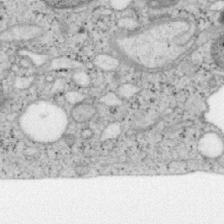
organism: Mouse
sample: OT-I killer T cells with ID8 ovarian cancer cells